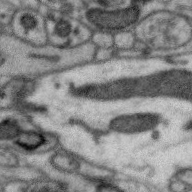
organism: Zebra finch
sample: Brain